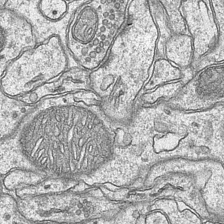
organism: Mouse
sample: CA1 Hippocampus